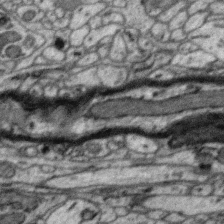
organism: Zebra finch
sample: Brain